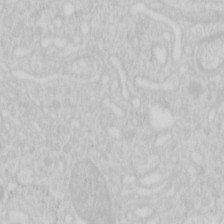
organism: Mouse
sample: Pancreas